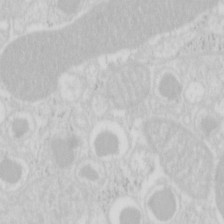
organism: Mouse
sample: Pancreas